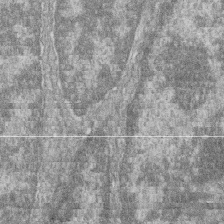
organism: Zebrafish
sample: Cilia; retinal pigment epithelium